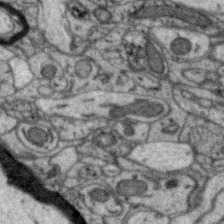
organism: Zebra finch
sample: Brain